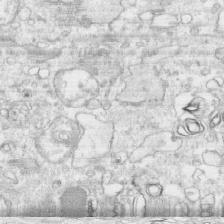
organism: Human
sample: CRL-1474